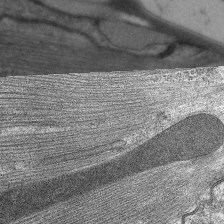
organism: C. elegans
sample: Pharynx